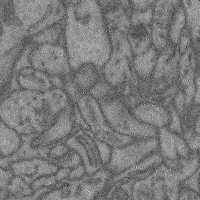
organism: Mouse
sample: Cerebral cortex